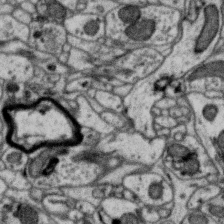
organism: Zebra finch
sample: Brain